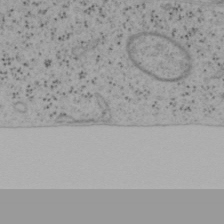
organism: Human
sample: HeLa cells